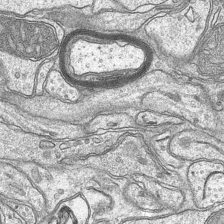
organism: Mouse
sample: CA1 Hippocampus